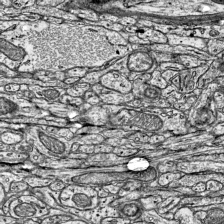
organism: Mouse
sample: Visual Cortex